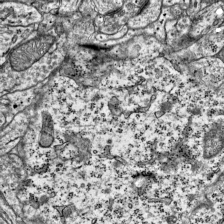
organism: Mouse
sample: Visual Cortex